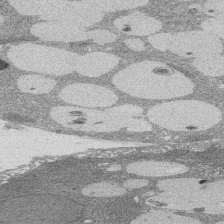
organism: Rat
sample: Salivary granule